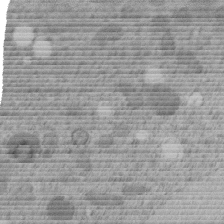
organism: C. elegans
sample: C. elegans embryo early stage